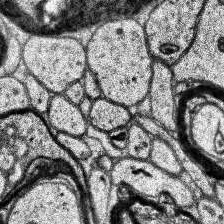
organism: Human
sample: Temporal Lobe